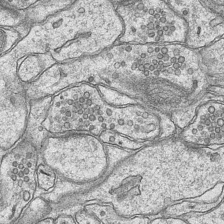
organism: Mouse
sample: CA1 Hippocampus